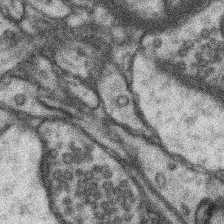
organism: Mouse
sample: Somatosensory cortex neuropil